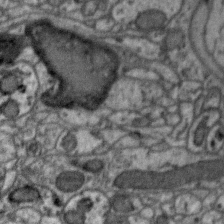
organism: Zebra finch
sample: Brain